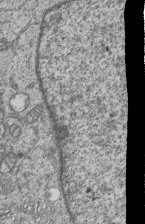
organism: Human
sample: MDA-MB-231 cells